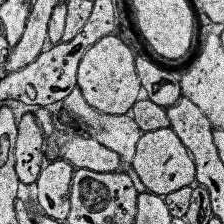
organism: Human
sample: Temporal Lobe